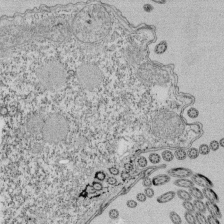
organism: Tetrahymena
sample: Cilia in tetrahymena